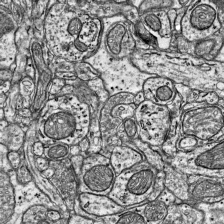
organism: Mouse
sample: Visual Cortex